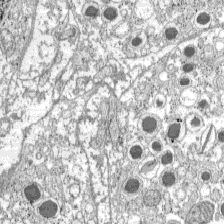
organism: C57BL Mouse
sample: Pancreatic islet